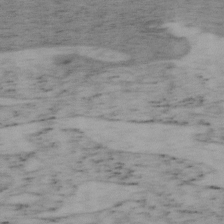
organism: Mouse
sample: OT-I killer T cells with ID8 ovarian cancer cells